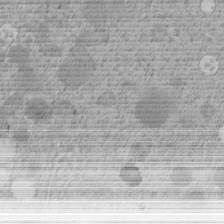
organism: C. elegans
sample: C. elegans embryo early stage